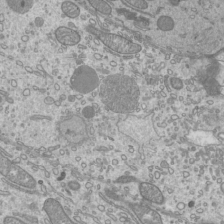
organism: Mouse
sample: Cilia; mouse epididymis